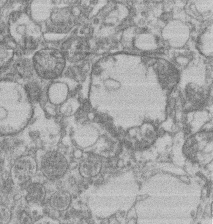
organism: Mouse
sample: T cell stromal cell synapse